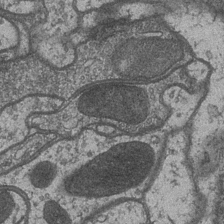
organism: Drosophila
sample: Optic medulla